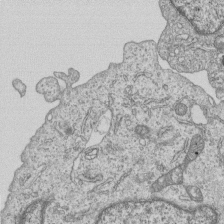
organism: Human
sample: MDA-MB-231 cells